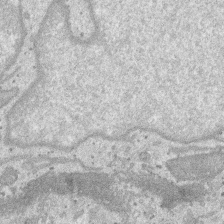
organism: Human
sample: Lung epithelial cells infected with SARS-CoV-2